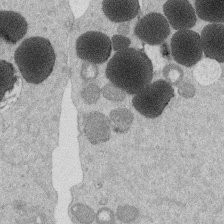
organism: Mouse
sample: Dividing mouse embryo 1 cell stage